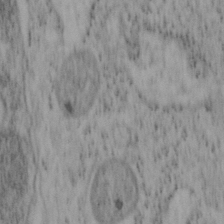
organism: Mouse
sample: OT-I killer T cells with ID8 ovarian cancer cells